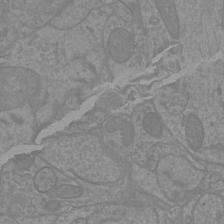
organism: Mouse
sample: Cortical neurons